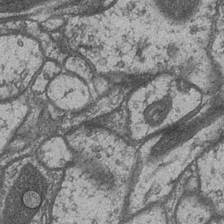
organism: Drosophila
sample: Optic medulla